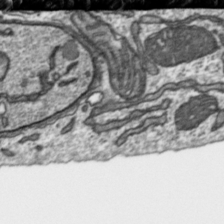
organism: Toxoplasma gondii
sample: Parasites in a vacuole inside a host cell